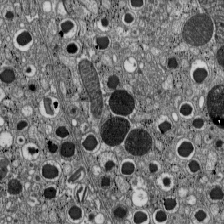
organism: C57BL Mouse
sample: Pancreatic islet